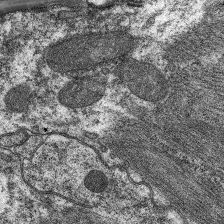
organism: C. elegans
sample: Pharynx